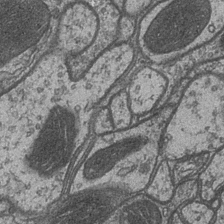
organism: Drosophila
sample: Optic medulla